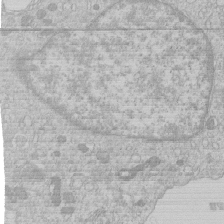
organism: Human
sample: Macrophage cells